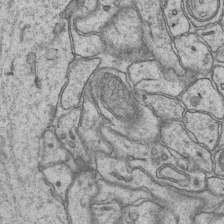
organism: Mouse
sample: CA1 Hippocampus